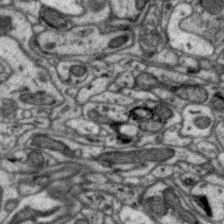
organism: Zebra finch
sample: Brain